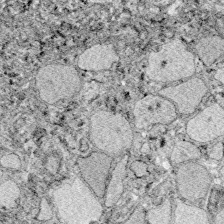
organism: Zebrafish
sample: Whole-Brain